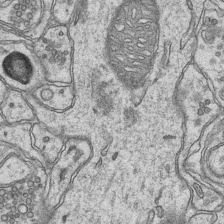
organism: Mouse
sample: CA1 Hippocampus